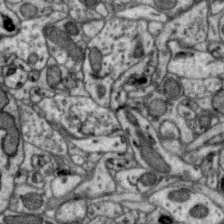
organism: Zebra finch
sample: Brain